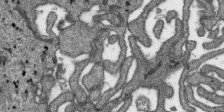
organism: Human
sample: Lung epithelial cells, uninfected (mock) control